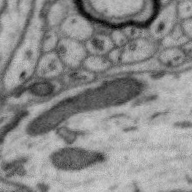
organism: Zebra finch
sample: Brain